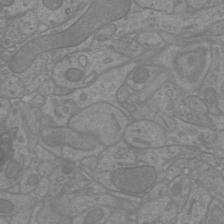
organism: Mouse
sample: Cortical neurons